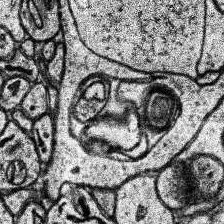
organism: Human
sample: Temporal Lobe